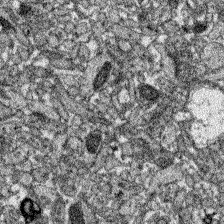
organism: Zebrafish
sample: Larval olfactory bulb